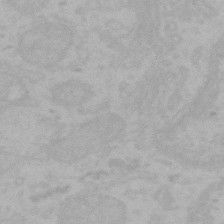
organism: Mouse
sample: Choroid plexus